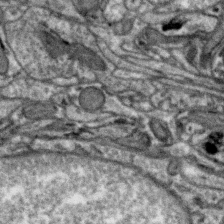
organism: Zebra finch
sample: Brain